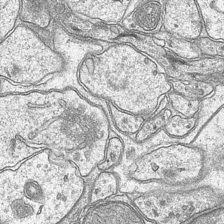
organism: Mouse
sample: CA1 Hippocampus